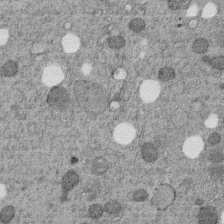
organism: C. elegans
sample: C. elegans embryo early stage